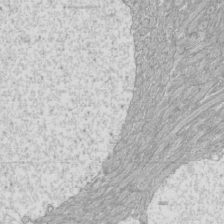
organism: Mouse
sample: Cilia; mouse epididymis